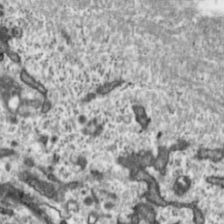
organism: Toxoplasma gondii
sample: Parasites in a vacuole inside a host cell